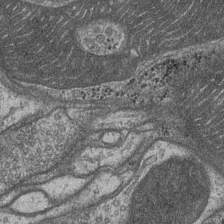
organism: Drosophila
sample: Optic medulla